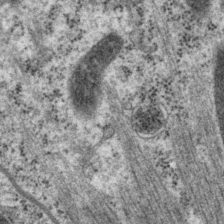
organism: P. pacificus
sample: Pharynx